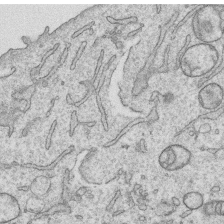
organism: Human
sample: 1205lu cells